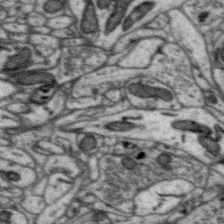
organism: Zebra finch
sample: Brain